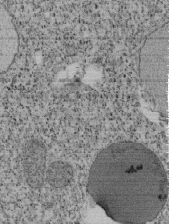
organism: Tetrahymena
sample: Cilia in tetrahymena